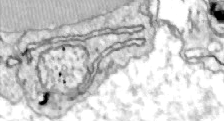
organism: Zebrafish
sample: Actinotrichia fibers